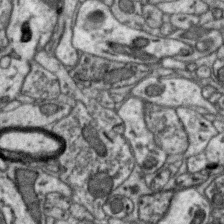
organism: Zebra finch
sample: Brain